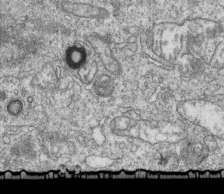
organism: Human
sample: HeLa cell HIV synapse